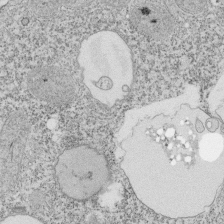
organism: Tetrahymena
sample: Cilia in tetrahymena